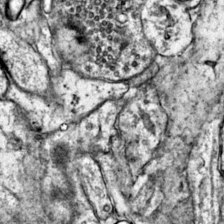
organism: Mouse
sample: Primary visual cortex